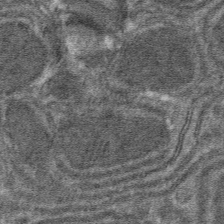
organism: Mouse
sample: Mouse hepatocytes